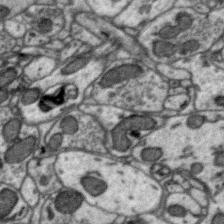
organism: Zebra finch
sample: Brain